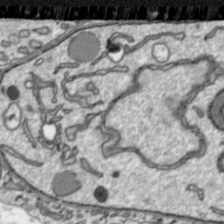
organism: Toxoplasma gondii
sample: Parasites in a vacuole inside a host cell